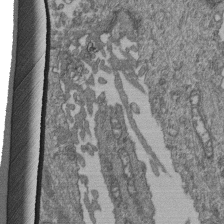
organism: Human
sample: Retinal organoid Rod and Cone cells